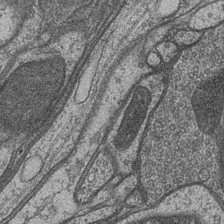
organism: Drosophila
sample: Optic medulla